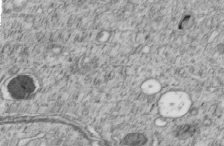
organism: C. elegans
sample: C. elegans embryo early stage